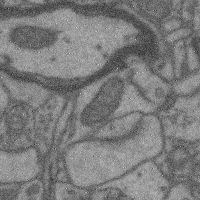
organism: Mouse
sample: Cerebral cortex